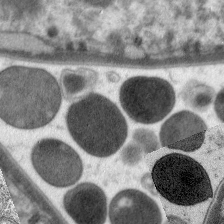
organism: C. elegans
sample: Pharynx